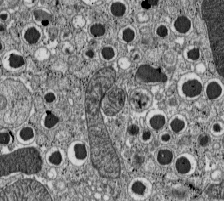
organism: C57BL Mouse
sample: Pancreatic islet